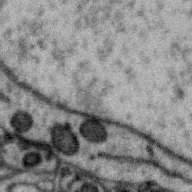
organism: Zebra finch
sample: Brain